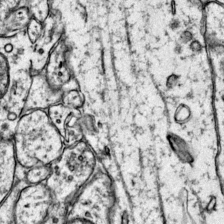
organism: Mouse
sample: Primary visual cortex